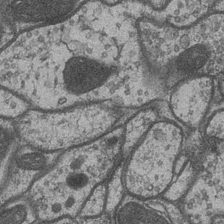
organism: Drosophila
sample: Optic medulla